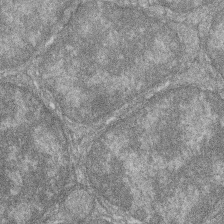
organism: Zebrafish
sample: Cilia; retinal pigment epithelium